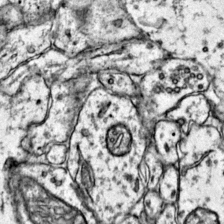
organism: Mouse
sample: Primary visual cortex